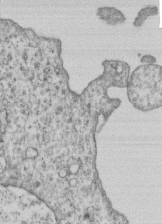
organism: Human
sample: MDA-MB-231 cells